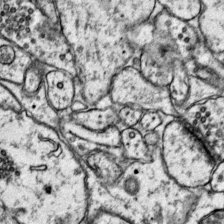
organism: Mouse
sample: Primary visual cortex